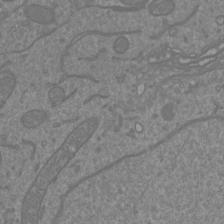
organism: Mouse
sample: Cortical neurons